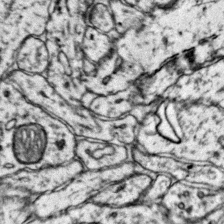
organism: Mouse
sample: Primary visual cortex